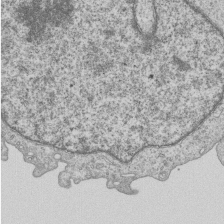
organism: Human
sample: MDA-MB-231 cells